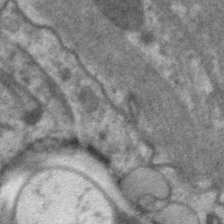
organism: C. elegans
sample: Pharynx